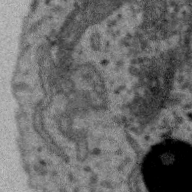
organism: Zebra finch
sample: Brain